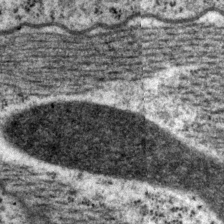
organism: P. pacificus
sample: Pharynx